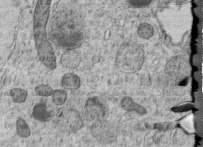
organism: C. elegans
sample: C. elegans embryo early stage